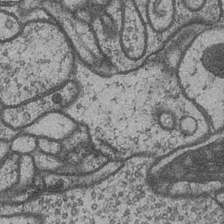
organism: Drosophila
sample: Optic medulla